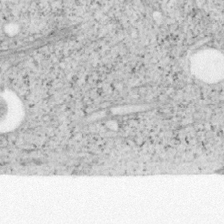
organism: Mouse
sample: OT-I killer T cells with ID8 ovarian cancer cells